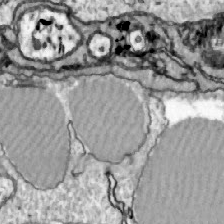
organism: Zebrafish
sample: Actinotrichia fibers